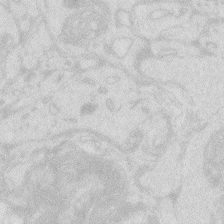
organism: Zebrafish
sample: Macrophage